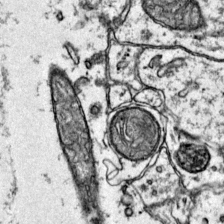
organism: Mouse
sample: Primary visual cortex